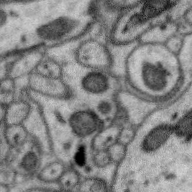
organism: Zebra finch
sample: Brain